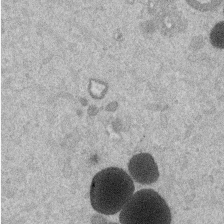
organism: Mouse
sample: Dividing mouse embryo 1 cell stage